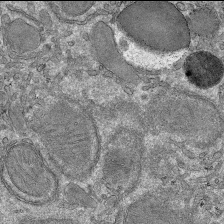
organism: Mouse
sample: Mouse hepatocytes